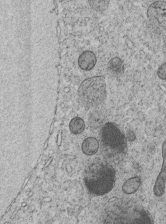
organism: C. elegans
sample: C. elegans embryo early stage